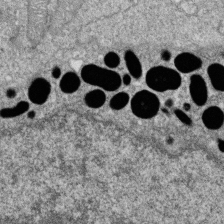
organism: Zebrafish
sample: Cilia; retinal pigment epithelium